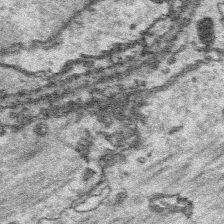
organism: Platynereis dumerilii